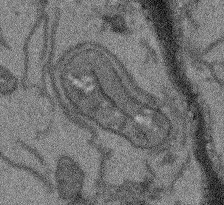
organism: Arabidopsis thaliana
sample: Root tip